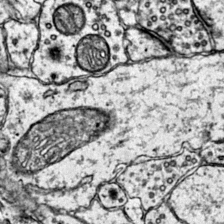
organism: Mouse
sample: Primary visual cortex